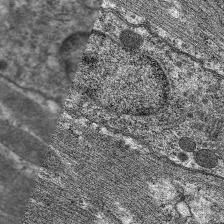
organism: C. elegans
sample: Pharynx